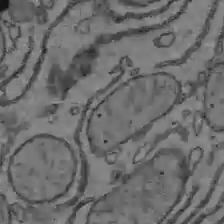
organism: C57BL Mouse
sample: Liver